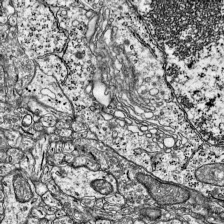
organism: Mouse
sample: Visual Cortex